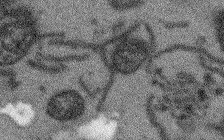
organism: Arabidopsis thaliana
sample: Root tip